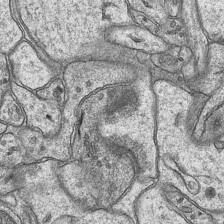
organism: Mouse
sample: CA1 Hippocampus